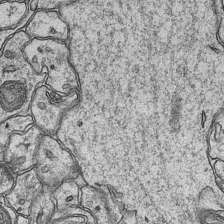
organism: Mouse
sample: CA1 Hippocampus